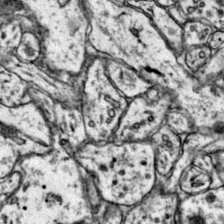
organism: Mouse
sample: Primary visual cortex